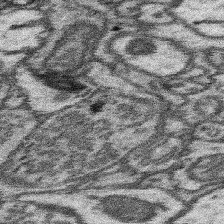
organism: Mouse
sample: Somatosensory cortex neuropil